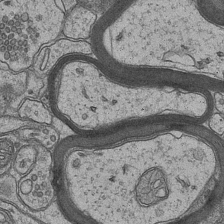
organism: Mouse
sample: CA1 Hippocampus